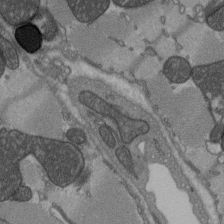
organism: C57BL Mouse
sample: Heart